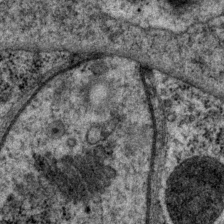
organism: P. pacificus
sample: Pharynx